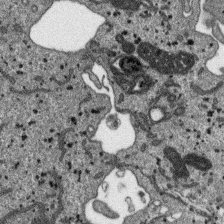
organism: Human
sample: Lung epithelial cells infected with SARS-CoV-2